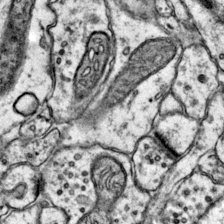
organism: Mouse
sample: Primary visual cortex